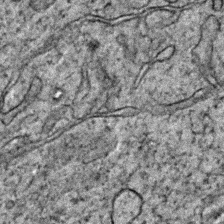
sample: Trachea